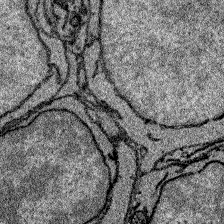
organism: Zebrafish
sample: Larval olfactory bulb